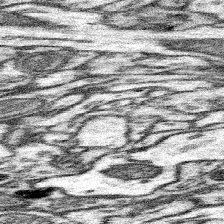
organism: Mouse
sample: Somatosensory cortex neuropil